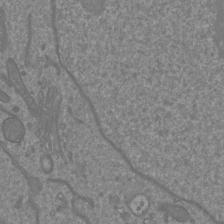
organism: Mouse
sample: Cortical neurons